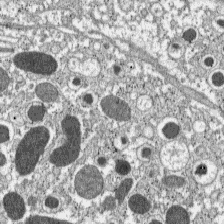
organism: C57BL Mouse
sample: Pancreatic islet